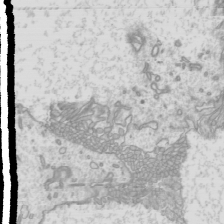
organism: Mouse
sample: Cilia; mouse epididymis